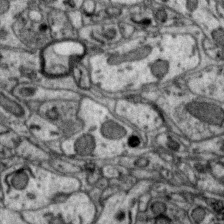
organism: Zebra finch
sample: Brain